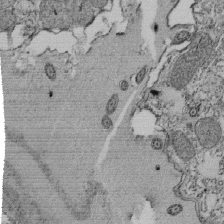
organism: Tetrahymena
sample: Cilia in tetrahymena